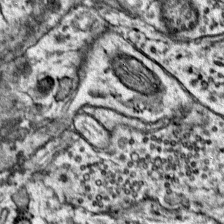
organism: Mouse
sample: Primary visual cortex